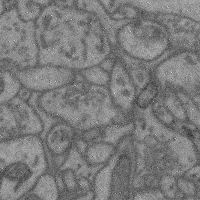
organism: Mouse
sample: Cerebral cortex